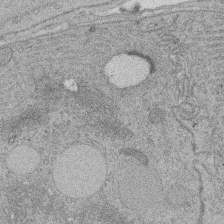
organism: Rat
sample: Salivary granule